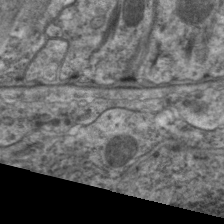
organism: C. elegans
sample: Pharynx